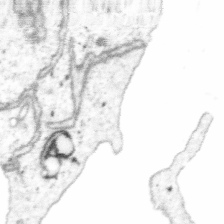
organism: Human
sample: HeLa cells